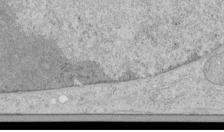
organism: Human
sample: Mitochondria in HCT116 cells